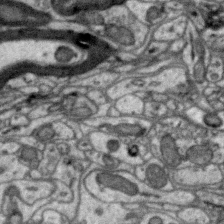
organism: Zebra finch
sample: Brain